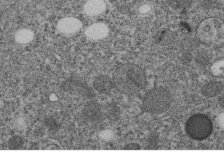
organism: C. elegans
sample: C. elegans embryo early stage